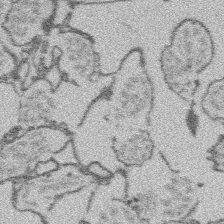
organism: Platynereis dumerilii